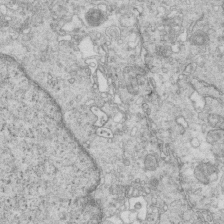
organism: Mouse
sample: Multiciliated cells